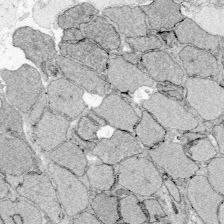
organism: Zebrafish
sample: Whole-Brain